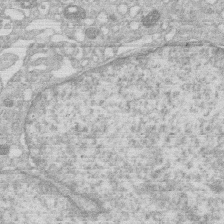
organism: Human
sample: Macrophage cells